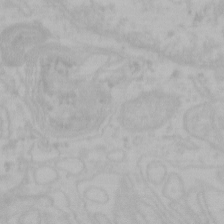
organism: Mouse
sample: Choroid plexus